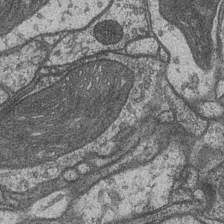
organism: Drosophila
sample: Optic medulla